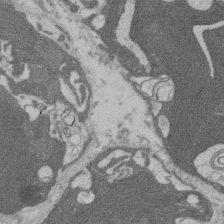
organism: Rat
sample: Salivary granule